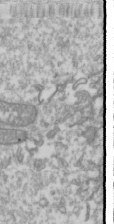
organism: Drosophila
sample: Cell division; meiosis; drosophila spermatocytes